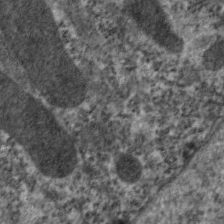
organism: C. elegans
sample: Pharynx